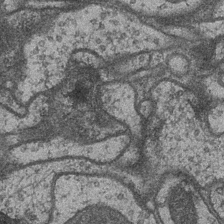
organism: Drosophila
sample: Optic medulla